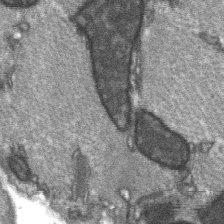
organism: C57BL Mouse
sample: Soleus